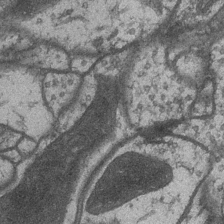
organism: Drosophila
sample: Optic medulla